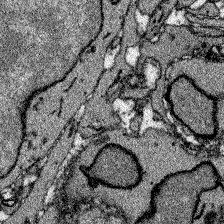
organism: Zebrafish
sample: Larval olfactory bulb